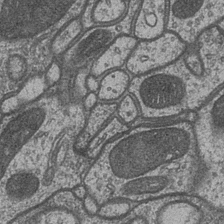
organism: Drosophila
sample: Optic medulla